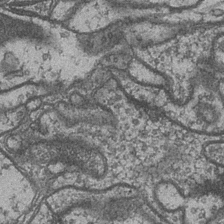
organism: Drosophila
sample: Optic medulla